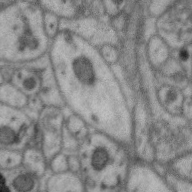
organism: Zebra finch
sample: Brain